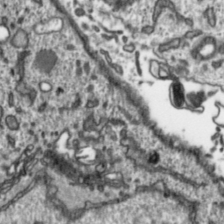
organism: Toxoplasma gondii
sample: Parasites in a vacuole inside a host cell